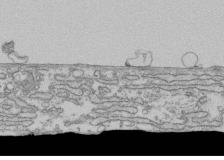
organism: Human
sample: Fibroblast cells